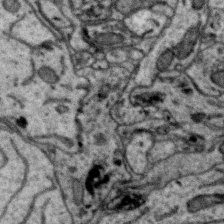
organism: Zebra finch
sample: Brain